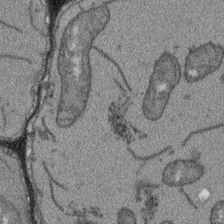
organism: Arabidopsis thaliana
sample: Root tip